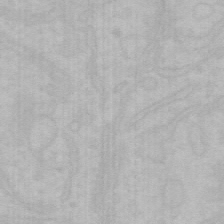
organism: Mouse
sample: Choroid plexus